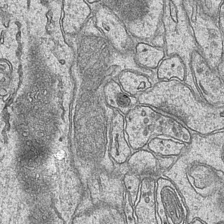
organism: Mouse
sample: CA1 Hippocampus